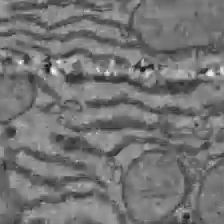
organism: C57BL Mouse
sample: Liver